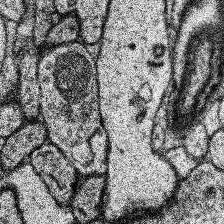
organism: Human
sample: Temporal Lobe